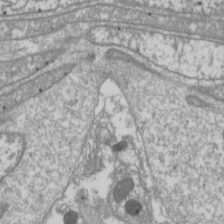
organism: Drosophila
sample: Cell division; meiosis; drosophila spermatocytes